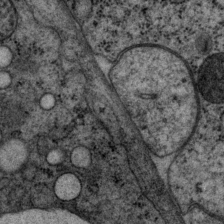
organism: P. pacificus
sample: Pharynx